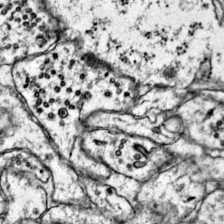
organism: Mouse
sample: Primary visual cortex